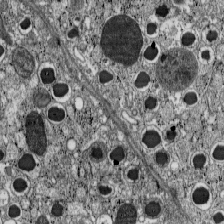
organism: C57BL Mouse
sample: Pancreatic islet